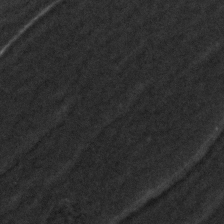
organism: Zebrafish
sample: Zebrafish embryo